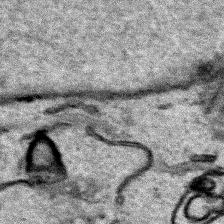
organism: Human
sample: Mitochondria in HCT116 cells